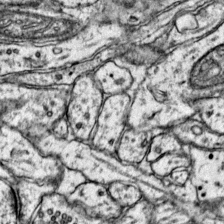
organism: Mouse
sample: Primary visual cortex